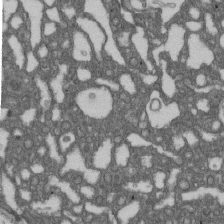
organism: Drosophila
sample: Nephrocyte